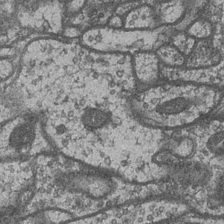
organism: Drosophila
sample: Optic medulla